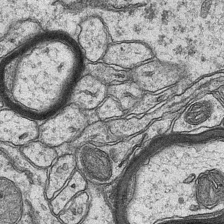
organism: Mouse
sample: CA1 Hippocampus